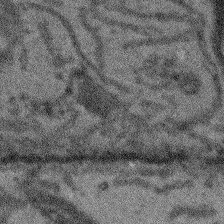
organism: Arabidopsis thaliana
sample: Root tip